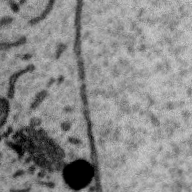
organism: Zebra finch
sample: Brain